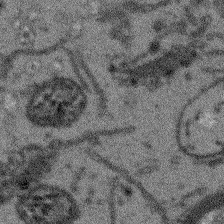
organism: Arabidopsis thaliana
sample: Root tip